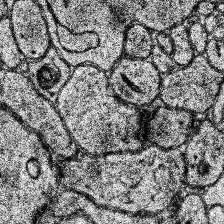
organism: Human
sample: Temporal Lobe